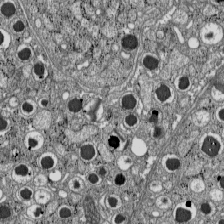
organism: C57BL Mouse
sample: Pancreatic islet